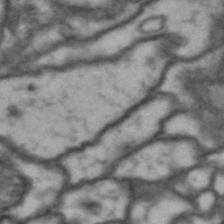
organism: Drosophila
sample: Brain